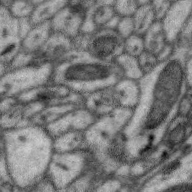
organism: Zebra finch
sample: Brain